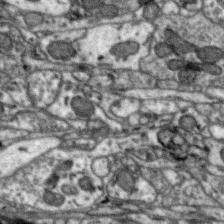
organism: Zebra finch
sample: Brain